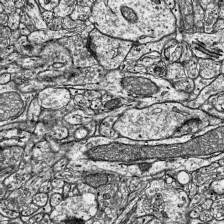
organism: Mouse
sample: Visual Cortex